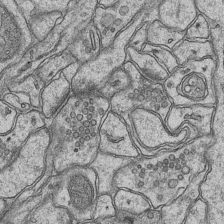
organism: Mouse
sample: CA1 Hippocampus